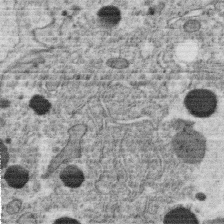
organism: C. elegans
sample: C. elegans oocyte; sperm cells